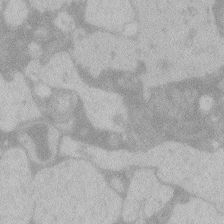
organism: Zebrafish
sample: Macrophage infected with Toxoplasma gondii